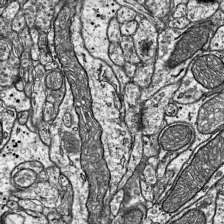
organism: Mouse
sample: Visual Cortex